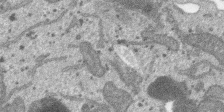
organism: Human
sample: Lung epithelial cells infected with SARS-CoV-2